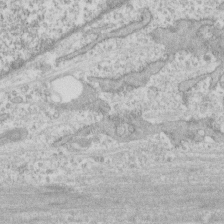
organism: Human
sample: CRL-1474